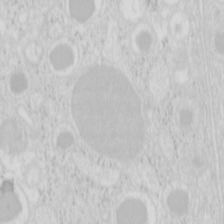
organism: Mouse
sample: Pancreas